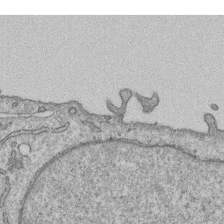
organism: Human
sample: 1205lu cells